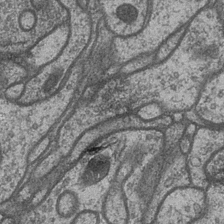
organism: Drosophila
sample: Optic medulla